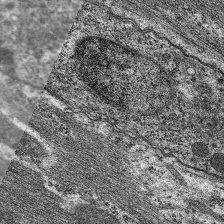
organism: C. elegans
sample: Pharynx